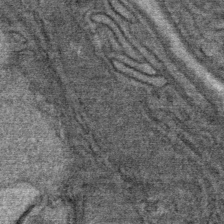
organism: Mouse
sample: Mouse Salivary gland